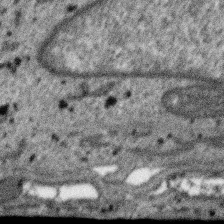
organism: Human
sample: Lung epithelial cells infected with SARS-CoV-2